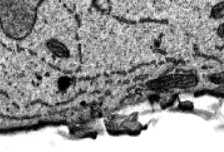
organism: Human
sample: HeLa cells